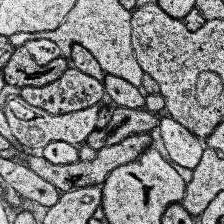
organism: Human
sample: Temporal Lobe